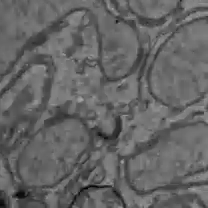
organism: C57BL Mouse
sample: Liver